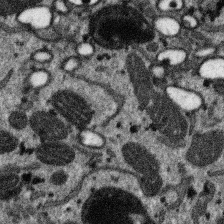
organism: Human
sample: Lung epithelial cells infected with SARS-CoV-2